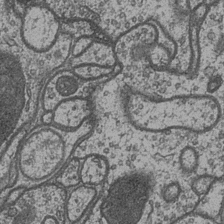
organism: Drosophila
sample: Optic medulla